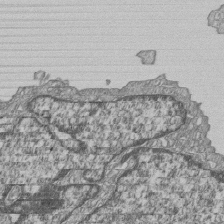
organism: Human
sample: MDA-MB-231 cells